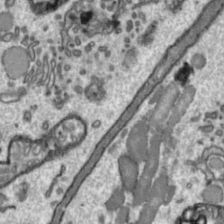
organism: Toxoplasma gondii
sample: Parasites in a vacuole inside a host cell